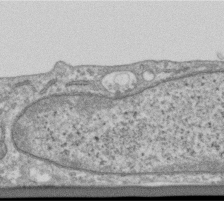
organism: Human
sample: Centriole in RPE cells